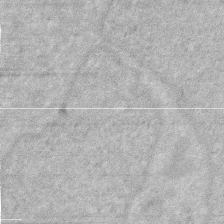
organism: Human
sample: HIV infected U937 cells